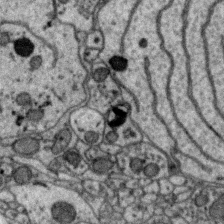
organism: Zebra finch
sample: Brain